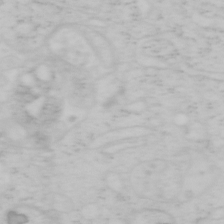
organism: Mouse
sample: OT-I killer T cells with ID8 ovarian cancer cells